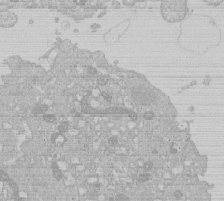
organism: Human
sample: Macrophage cells